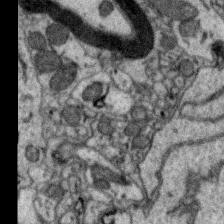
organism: Zebra finch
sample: Brain